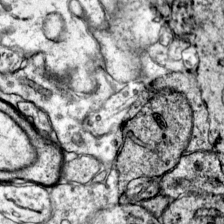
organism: Mouse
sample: Primary visual cortex